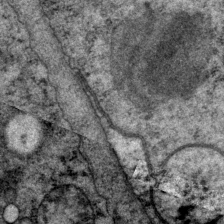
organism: P. pacificus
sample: Pharynx